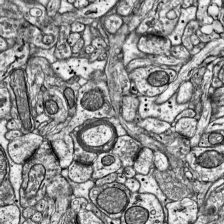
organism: Mouse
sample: Visual Cortex